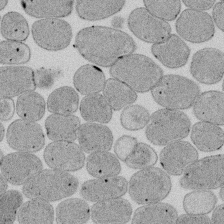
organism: E. coli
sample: Bacterial nucleoid